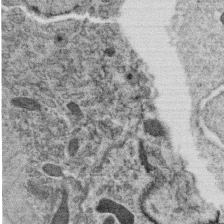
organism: C. elegans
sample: C. elegans oocyte; sperm cells